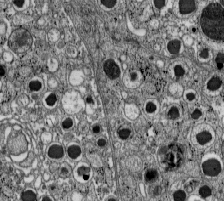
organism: C57BL Mouse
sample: Pancreatic islet